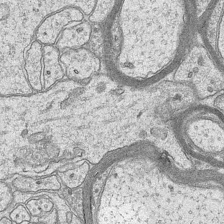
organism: Mouse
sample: CA1 Hippocampus